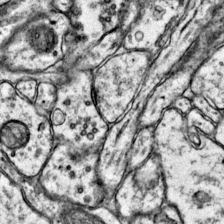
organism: Mouse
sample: Primary visual cortex